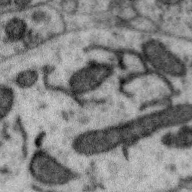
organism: Zebra finch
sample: Brain